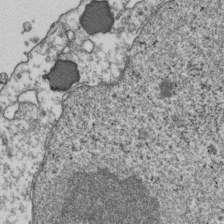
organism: Human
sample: Activated Jurkat CD4+ T cells